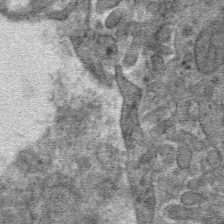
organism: Mouse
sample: Mouse hepatocytes